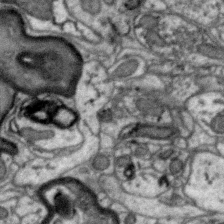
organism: Zebra finch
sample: Brain